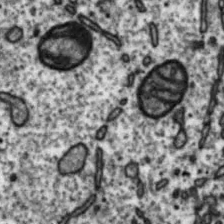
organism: Human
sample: HeLa cells